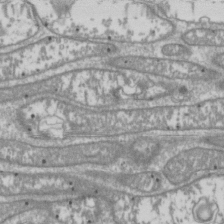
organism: Drosophila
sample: Cell division; meiosis; drosophila spermatocytes